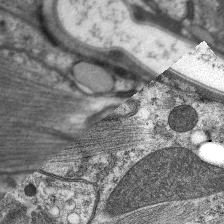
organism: C. elegans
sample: Pharynx